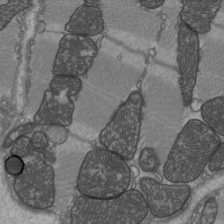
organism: C57BL Mouse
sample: Heart